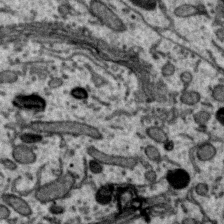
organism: Zebra finch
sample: Brain